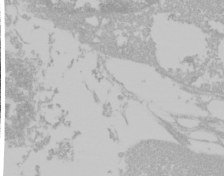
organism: Mouse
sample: Cancer cell death in ED-1 cells